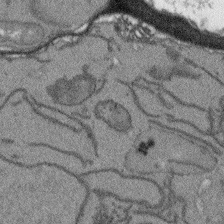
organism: Arabidopsis thaliana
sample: Root tip